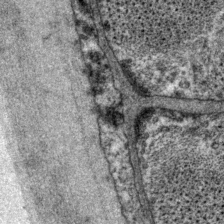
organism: P. pacificus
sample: Pharynx